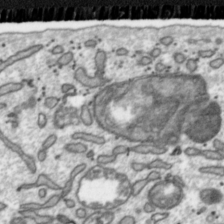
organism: Toxoplasma gondii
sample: Parasites in a vacuole inside a host cell